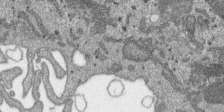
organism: Human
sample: Lung epithelial cells infected with SARS-CoV-2